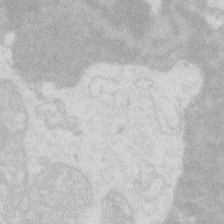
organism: Zebrafish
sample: Macrophage